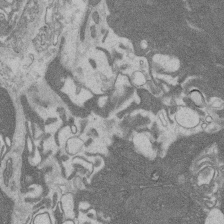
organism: Rat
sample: Salivary granule